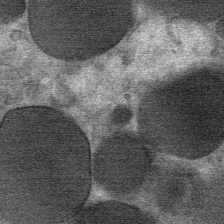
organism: Mouse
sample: Mouse Salivary gland